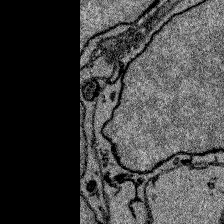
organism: Zebrafish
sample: Larval olfactory bulb